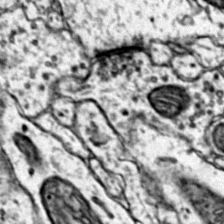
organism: Mouse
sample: Primary visual cortex